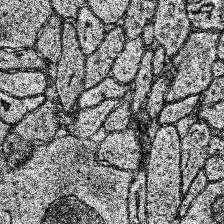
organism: Human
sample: Temporal Lobe